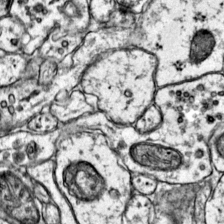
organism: Mouse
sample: Primary visual cortex